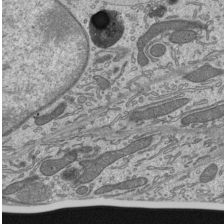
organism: Mouse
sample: Mouse epididymis efferent ductule cilia